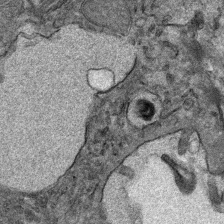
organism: Mouse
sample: Mouse Salivary gland